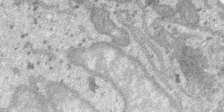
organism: Human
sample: Lung epithelial cells infected with SARS-CoV-2